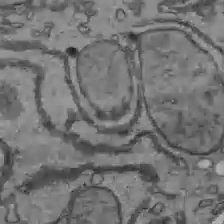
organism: C57BL Mouse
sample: Liver